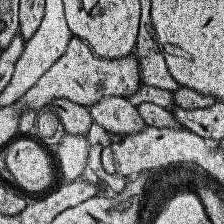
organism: Human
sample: Temporal Lobe